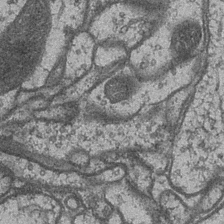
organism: Drosophila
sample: Optic medulla